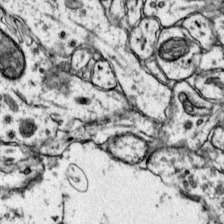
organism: Mouse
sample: Primary visual cortex